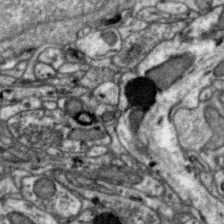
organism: Zebra finch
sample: Brain